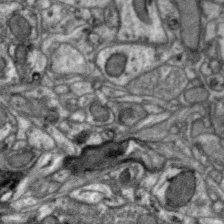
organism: Zebra finch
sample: Brain